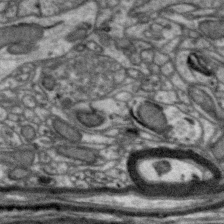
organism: Zebra finch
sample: Brain